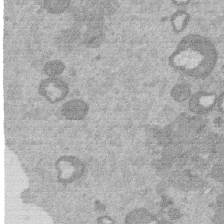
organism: Mouse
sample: Dividing mouse embryo 1 cell stage